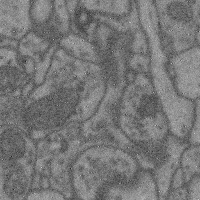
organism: Mouse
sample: Cerebral cortex